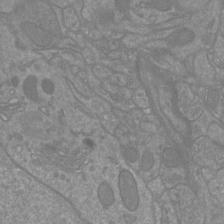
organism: Mouse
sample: Cortical neurons